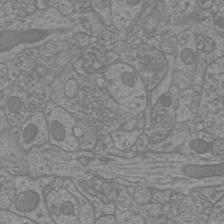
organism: Mouse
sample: Cortical neurons